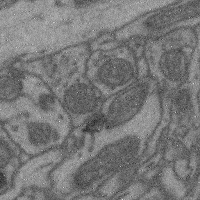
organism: Mouse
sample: Cerebral cortex